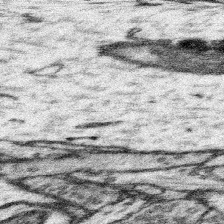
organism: Mouse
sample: Somatosensory cortex neuropil